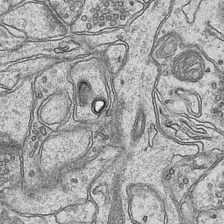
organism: Mouse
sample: CA1 Hippocampus